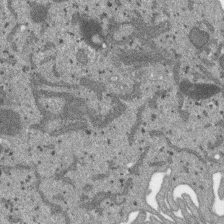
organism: Human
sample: Lung epithelial cells infected with SARS-CoV-2